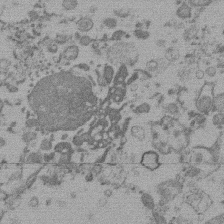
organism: Mouse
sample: Dividing mouse embryo 1 cell stage